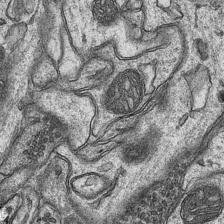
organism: Mouse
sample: CA1 Hippocampus